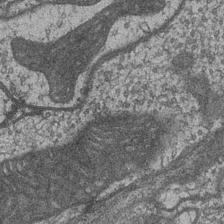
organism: Drosophila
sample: Optic medulla